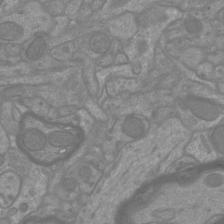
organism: Mouse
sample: Cortical neurons